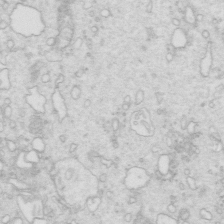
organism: Mouse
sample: Multiciliated cells